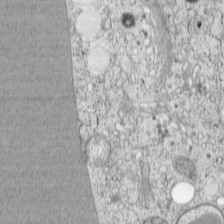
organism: African green monkey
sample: COS-7 cells